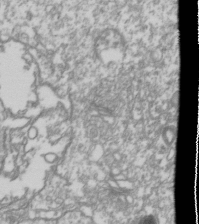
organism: Drosophila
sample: Cell division; meiosis; drosophila spermatocytes